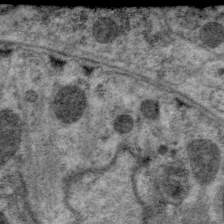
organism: C. elegans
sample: Pharynx